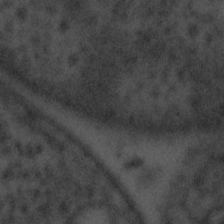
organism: Tuwongella immobilis